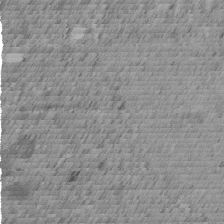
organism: C. elegans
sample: C. elegans embryo early stage